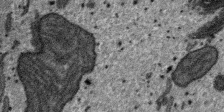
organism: Human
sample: Lung epithelial cells, uninfected (mock) control